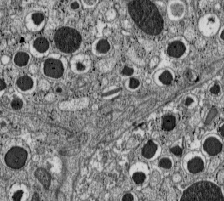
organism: C57BL Mouse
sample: Pancreatic islet